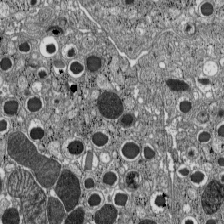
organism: C57BL Mouse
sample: Pancreatic islet